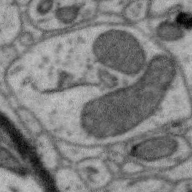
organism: Zebra finch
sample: Brain